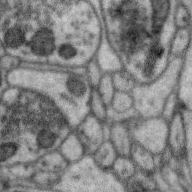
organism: Zebra finch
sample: Brain